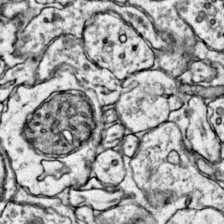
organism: Mouse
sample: Primary visual cortex